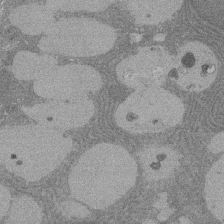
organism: Rat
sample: Salivary granule